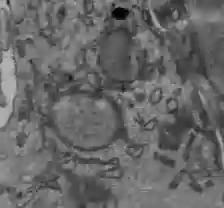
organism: C57BL Mouse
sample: Liver